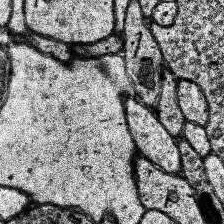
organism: Human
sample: Temporal Lobe